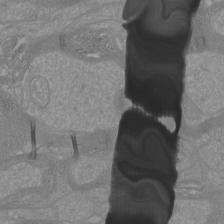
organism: Mouse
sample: Cortical neurons